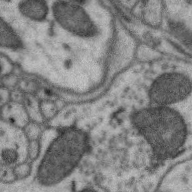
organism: Zebra finch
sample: Brain